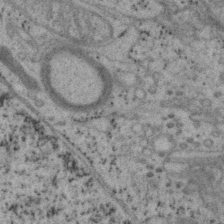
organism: Human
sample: HeLa cells